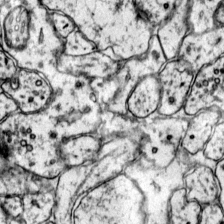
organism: Mouse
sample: Primary visual cortex